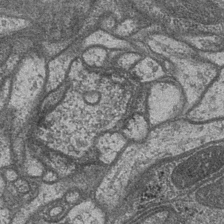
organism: Drosophila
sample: Optic medulla